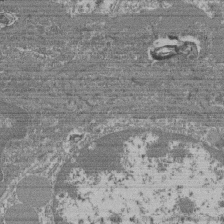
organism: Mouse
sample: Glomerulus